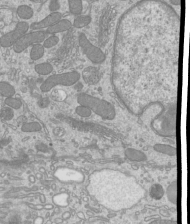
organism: Mouse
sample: Cilia; mouse epididymis